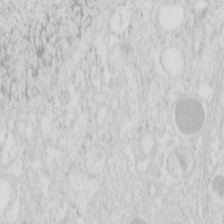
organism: Mouse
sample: Pancreas